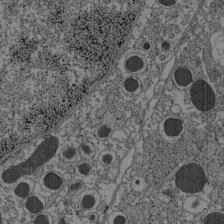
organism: C57BL Mouse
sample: Pancreatic islet